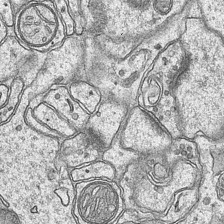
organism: Mouse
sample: CA1 Hippocampus